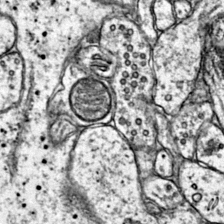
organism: Mouse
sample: Primary visual cortex